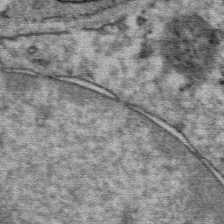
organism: Mouse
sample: Mouse Salivary gland